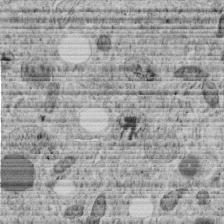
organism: C. elegans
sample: C. elegans embryo early stage